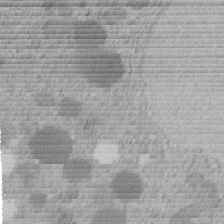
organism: C. elegans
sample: C. elegans embryo early stage